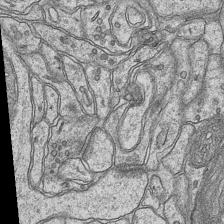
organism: Mouse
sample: CA1 Hippocampus